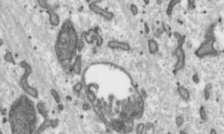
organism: Toxoplasma gondii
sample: Parasites in a vacuole inside a host cell